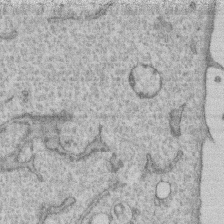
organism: Human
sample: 1205lu cells